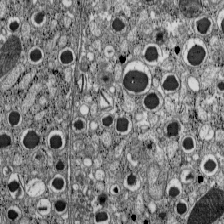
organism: C57BL Mouse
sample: Pancreatic islet